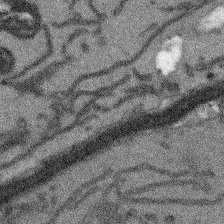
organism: Arabidopsis thaliana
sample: Root tip